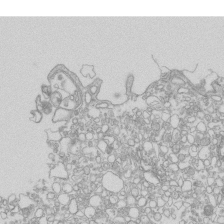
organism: Mouse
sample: Macrophages